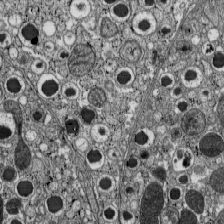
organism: C57BL Mouse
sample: Pancreatic islet